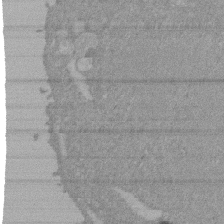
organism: Mouse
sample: ED-1 cell nuclei; centrioles